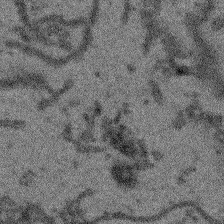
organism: Arabidopsis thaliana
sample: Root tip